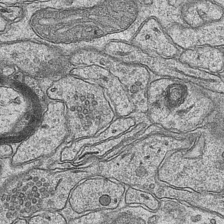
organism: Mouse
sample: CA1 Hippocampus